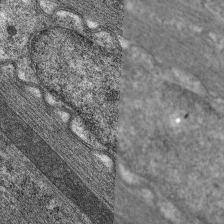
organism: C. elegans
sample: Pharynx